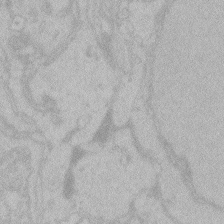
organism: Zebrafish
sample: Macrophage infected with Toxoplasma gondii